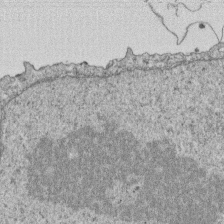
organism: Human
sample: HeLa cell HIV synapse